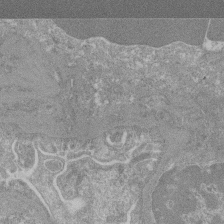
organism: Mouse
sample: Glomerulus